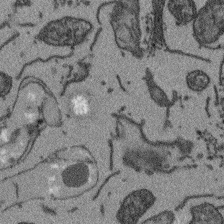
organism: Arabidopsis thaliana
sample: Root tip